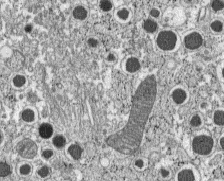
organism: C57BL Mouse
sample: Pancreatic islet